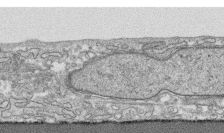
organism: Human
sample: CRL-1474